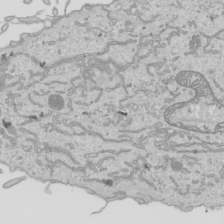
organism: Human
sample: Mitochondria in HCT116 cells